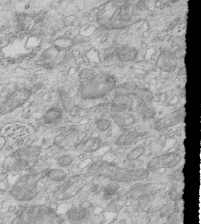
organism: Mouse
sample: Multiciliated cells